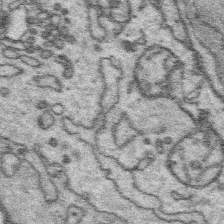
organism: Platynereis dumerilii